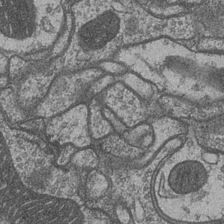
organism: Drosophila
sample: Optic medulla